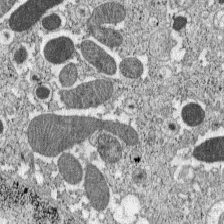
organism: C57BL Mouse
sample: Pancreatic islet